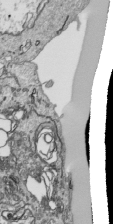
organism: Human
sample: Mitochondria in HCT116 cells